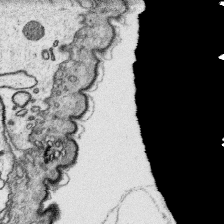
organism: Platynereis dumerilii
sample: Parapodia